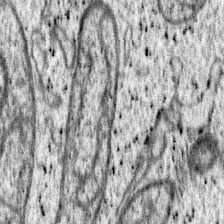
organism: Human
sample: HeLa cells